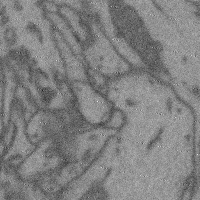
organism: Mouse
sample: Cerebral cortex